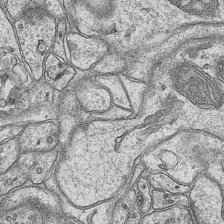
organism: Mouse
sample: CA1 Hippocampus